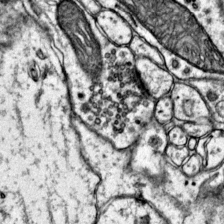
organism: Mouse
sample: Primary visual cortex